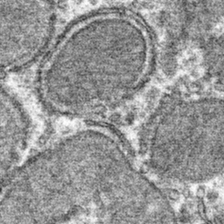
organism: Mouse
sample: Mouse hepatocytes